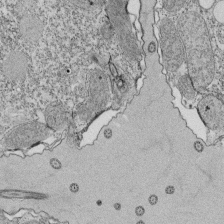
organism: Tetrahymena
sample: Cilia in tetrahymena